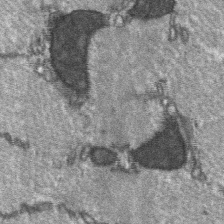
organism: C57BL Mouse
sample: Soleus